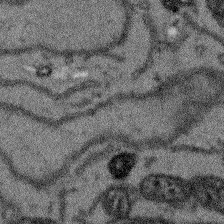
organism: Arabidopsis thaliana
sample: Root tip